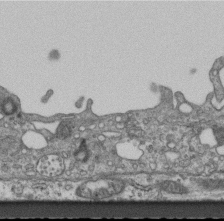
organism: Mouse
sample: Centriole in ependymal cells